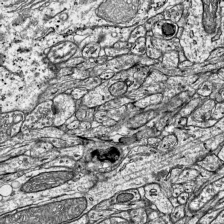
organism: Mouse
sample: Visual Cortex